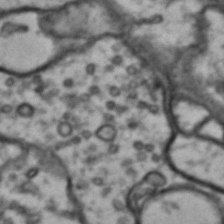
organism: Drosophila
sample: Brain